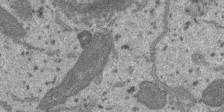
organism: Human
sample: Lung epithelial cells infected with SARS-CoV-2